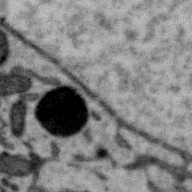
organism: Zebra finch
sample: Brain